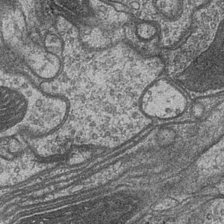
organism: Drosophila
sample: Optic medulla